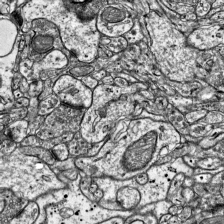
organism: Mouse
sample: Visual Cortex